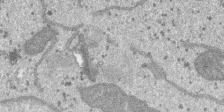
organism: Human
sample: Lung epithelial cells infected with SARS-CoV-2